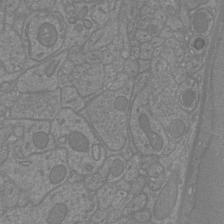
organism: Mouse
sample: Cortical neurons